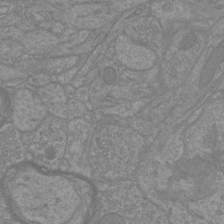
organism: Mouse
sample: Cortical neurons